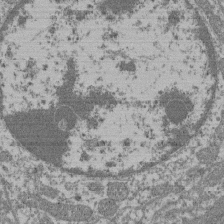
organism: Mouse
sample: Glomerulus